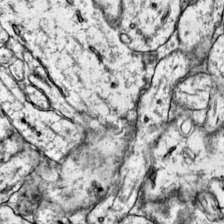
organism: Mouse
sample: Primary visual cortex